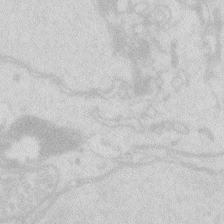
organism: Zebrafish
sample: Macrophage